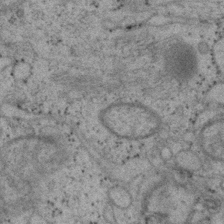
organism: Human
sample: HeLa cells